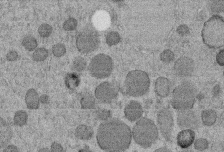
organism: C. elegans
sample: C. elegans embryo early stage